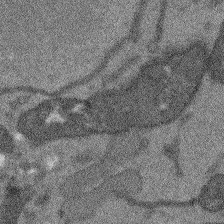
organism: Arabidopsis thaliana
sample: Root tip